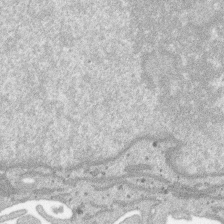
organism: Human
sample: Lung epithelial cells infected with SARS-CoV-2